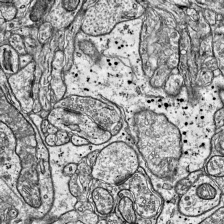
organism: Mouse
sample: Visual Cortex